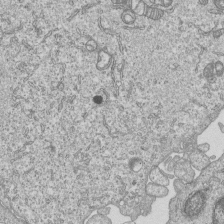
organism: Human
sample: MDA-MB-231 cells